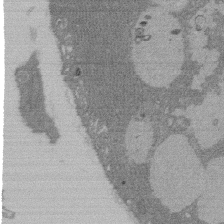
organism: Rat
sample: Salivary granule